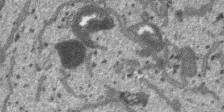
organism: Human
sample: Lung epithelial cells infected with SARS-CoV-2